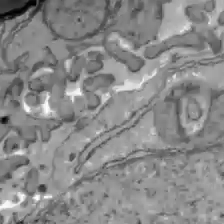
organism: C57BL Mouse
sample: Liver